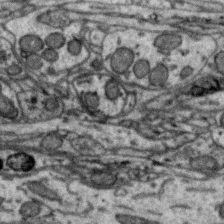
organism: Zebra finch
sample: Brain